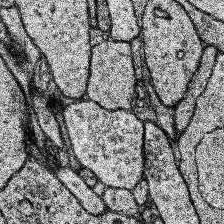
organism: Human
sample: Temporal Lobe